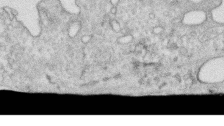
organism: Human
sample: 1205lu cells